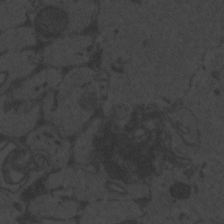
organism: Zebrafish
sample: Macrophage infected with Toxoplasma gondii